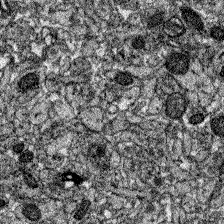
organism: Zebrafish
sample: Larval olfactory bulb